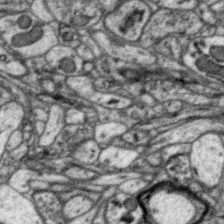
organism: Zebra finch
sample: Brain